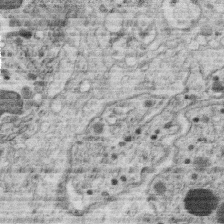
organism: C. elegans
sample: C. elegans oocyte; sperm cells